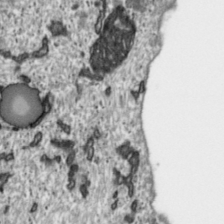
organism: Toxoplasma gondii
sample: Parasites in a vacuole inside a host cell